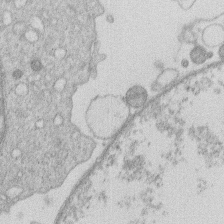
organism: Human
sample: Macrophage cells